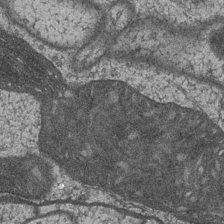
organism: Drosophila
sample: Optic medulla